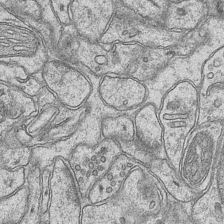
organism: Mouse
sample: CA1 Hippocampus